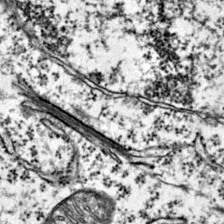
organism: Mouse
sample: Primary visual cortex